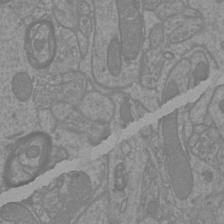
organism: Mouse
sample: Cortical neurons